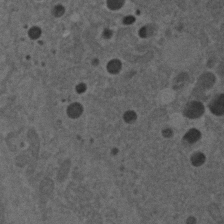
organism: C. elegans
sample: C. elegans embryo